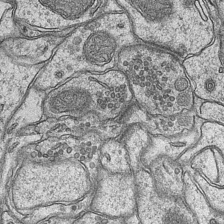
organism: Mouse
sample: CA1 Hippocampus